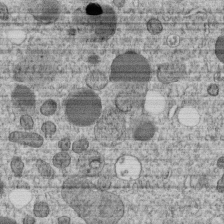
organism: C. elegans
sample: C. elegans embryo early stage